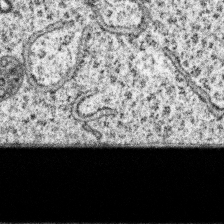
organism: Human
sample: HeLa cells